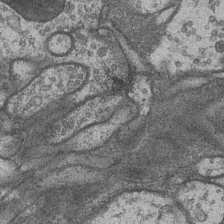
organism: Drosophila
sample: Optic medulla